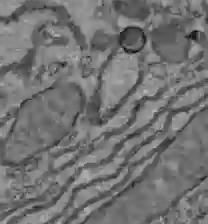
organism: C57BL Mouse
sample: Liver